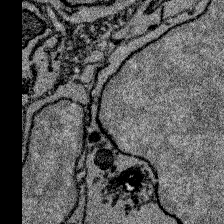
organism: Zebrafish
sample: Larval olfactory bulb